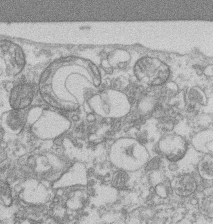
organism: Mouse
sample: T cell stromal cell synapse